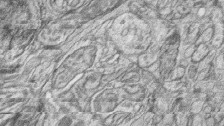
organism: Zebrafish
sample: synaptic ribbons in rod cells and cone cells